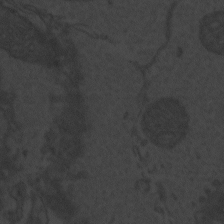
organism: Zebrafish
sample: Macrophage infected with Toxoplasma gondii